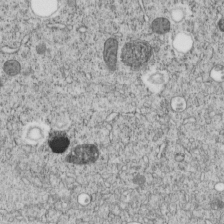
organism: C. elegans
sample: C. elegans embryo early stage